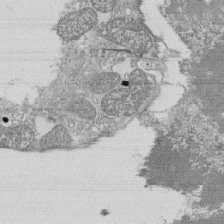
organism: Tetrahymena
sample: Cilia in tetrahymena